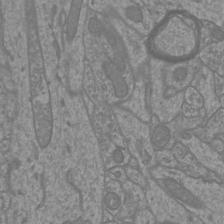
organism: Mouse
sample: Cortical neurons